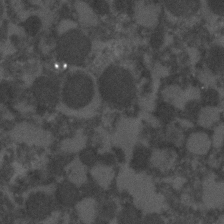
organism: C. elegans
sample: C. elegans embryo